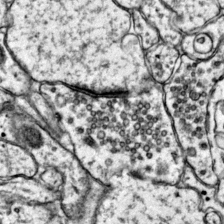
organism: Mouse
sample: Primary visual cortex